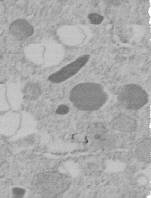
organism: C. elegans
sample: C. elegans embryo early stage